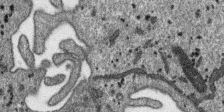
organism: Human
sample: Lung epithelial cells infected with SARS-CoV-2